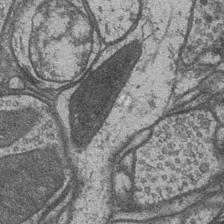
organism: Drosophila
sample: Optic medulla